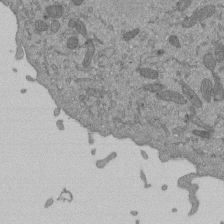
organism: Mouse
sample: ED-1 cell nuclei; centrioles